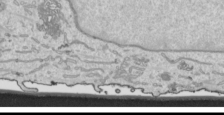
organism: Human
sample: Mitochondria in HCT116 cells